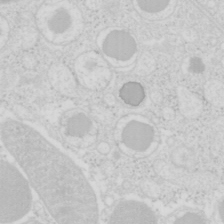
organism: Mouse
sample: Pancreas